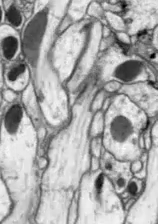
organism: Drosophila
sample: Optic lobe